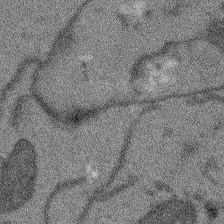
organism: Arabidopsis thaliana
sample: Root tip